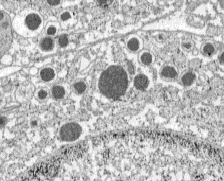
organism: C57BL Mouse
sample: Pancreatic islet